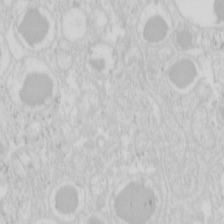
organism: Mouse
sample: Pancreas